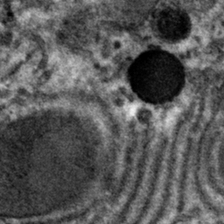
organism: Mouse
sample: Mouse hepatocytes